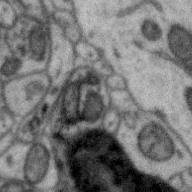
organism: Zebra finch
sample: Brain